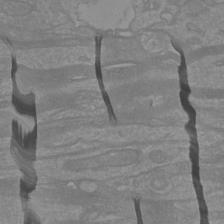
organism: Mouse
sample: Cortical neurons